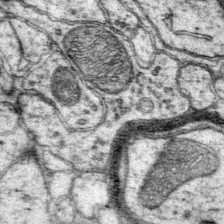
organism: Mouse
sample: Primary visual cortex